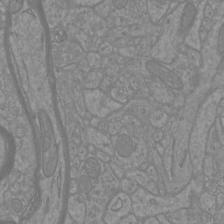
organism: Mouse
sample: Cortical neurons